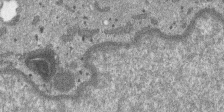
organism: Human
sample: Lung epithelial cells infected with SARS-CoV-2